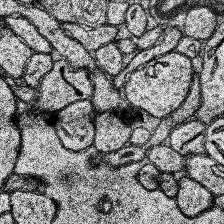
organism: Human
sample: Temporal Lobe